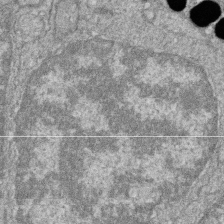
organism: Zebrafish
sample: Cilia; retinal pigment epithelium